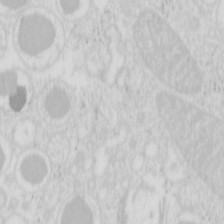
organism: Mouse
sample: Pancreas